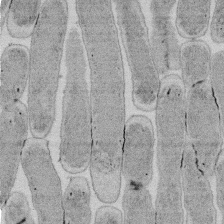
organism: E. coli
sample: Bacterial nucleoid